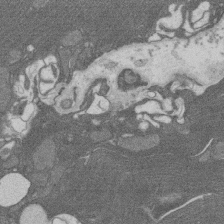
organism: Rat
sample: Salivary granule